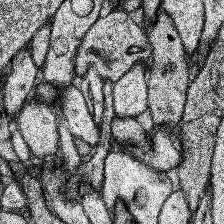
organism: Human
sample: Temporal Lobe